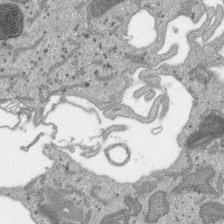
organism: Human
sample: Lung epithelial cells infected with SARS-CoV-2